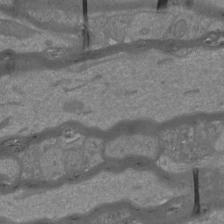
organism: Mouse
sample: Cortical neurons